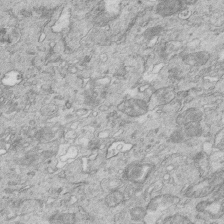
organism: Mouse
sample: Multiciliated cells